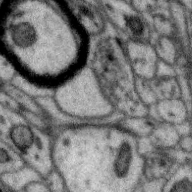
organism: Zebra finch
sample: Brain